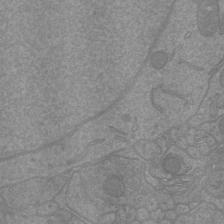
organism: Mouse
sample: Cortical neurons